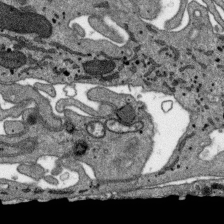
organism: Human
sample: Lung epithelial cells, uninfected (mock) control